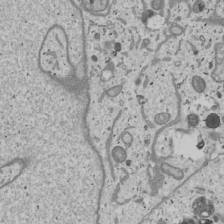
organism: Human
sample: Mitochondria in U2OS cells